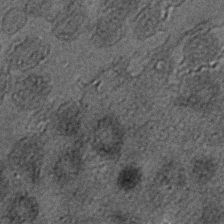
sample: Trachea